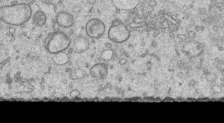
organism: Human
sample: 1205lu cells